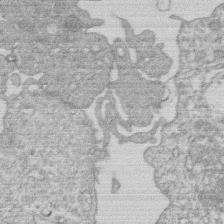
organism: Human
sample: Macrophage cells